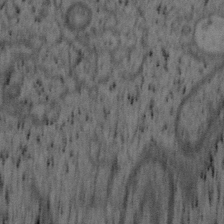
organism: Human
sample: HeLa cells